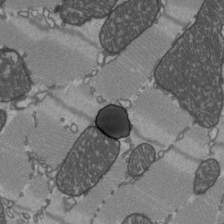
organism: C57BL Mouse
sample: Heart